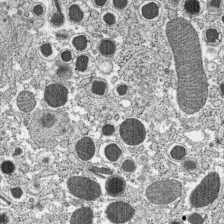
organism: C57BL Mouse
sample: Pancreatic islet